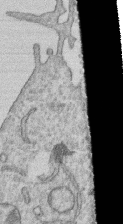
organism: Human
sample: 1205lu cells